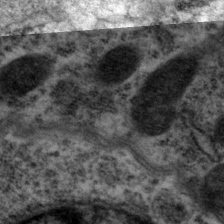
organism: P. pacificus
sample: Pharynx